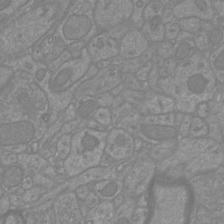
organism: Mouse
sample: Cortical neurons